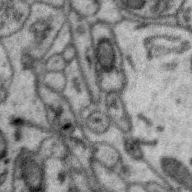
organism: Zebra finch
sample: Brain